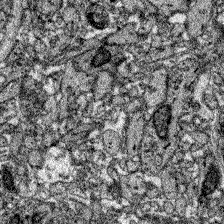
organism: Zebrafish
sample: Larval olfactory bulb